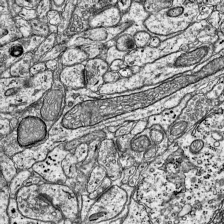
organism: Mouse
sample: Visual Cortex